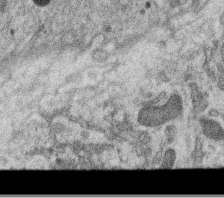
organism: C. elegans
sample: C. elegans oocyte; sperm cells